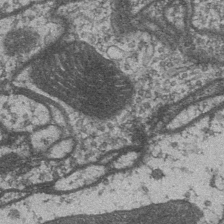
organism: Drosophila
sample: Optic medulla